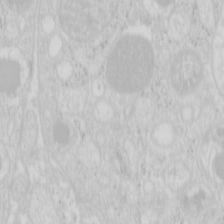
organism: Mouse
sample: Pancreas